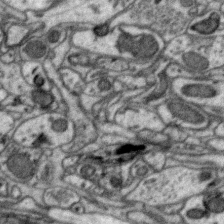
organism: Zebra finch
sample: Brain